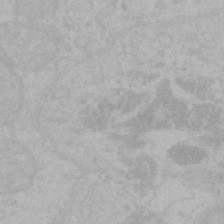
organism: Mouse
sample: Choroid plexus